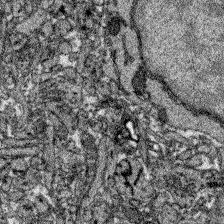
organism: Zebrafish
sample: Larval olfactory bulb